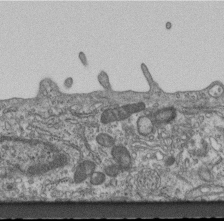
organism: Mouse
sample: Centriole in ependymal cells